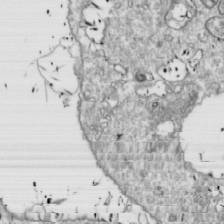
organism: Drosophila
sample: Cell division; meiosis; drosophila spermatocytes